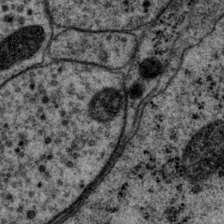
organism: P. pacificus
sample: Pharynx